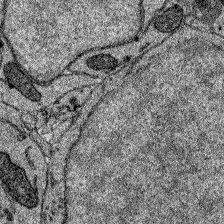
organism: Zebrafish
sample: Larval olfactory bulb